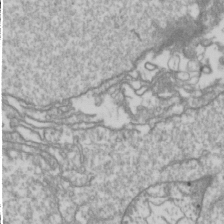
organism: Drosophila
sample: Cell division; meiosis; drosophila spermatocytes